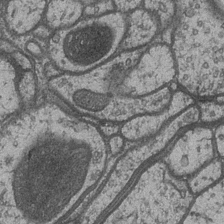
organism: Drosophila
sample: Optic medulla